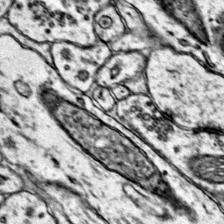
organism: Mouse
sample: Primary visual cortex